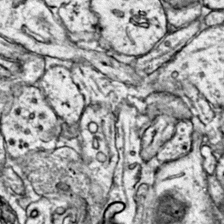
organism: Mouse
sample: Primary visual cortex